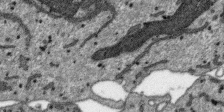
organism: Human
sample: Lung epithelial cells, uninfected (mock) control